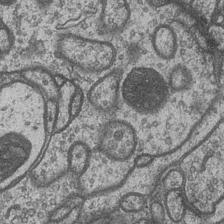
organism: Drosophila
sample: Optic medulla